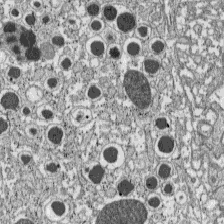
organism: C57BL Mouse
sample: Pancreatic islet